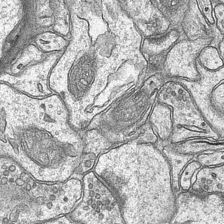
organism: Mouse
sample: CA1 Hippocampus